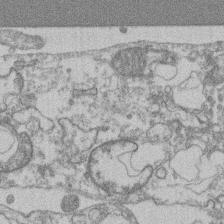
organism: Mouse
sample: T cell stromal cell synapse